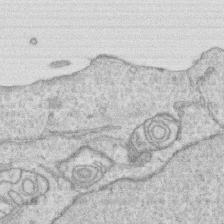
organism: Human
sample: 1205lu cells